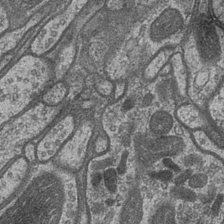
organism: Drosophila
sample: Optic medulla